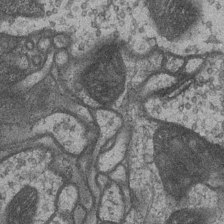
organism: Drosophila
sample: Optic medulla